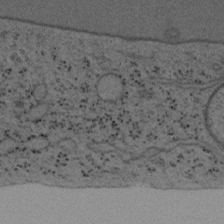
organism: Human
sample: HeLa cells